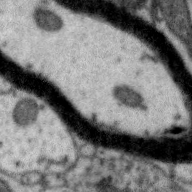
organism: Zebra finch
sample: Brain